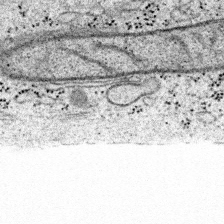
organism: Human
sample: HeLa cells